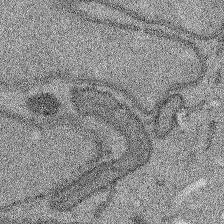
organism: Human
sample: HeLa cells